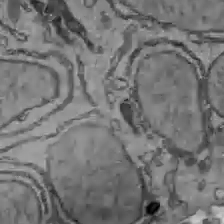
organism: C57BL Mouse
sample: Liver